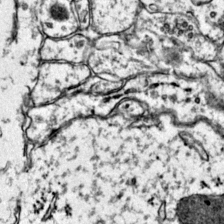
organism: Mouse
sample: Primary visual cortex